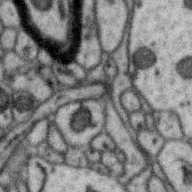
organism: Zebra finch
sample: Brain